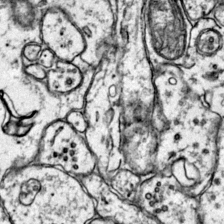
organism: Mouse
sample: Primary visual cortex